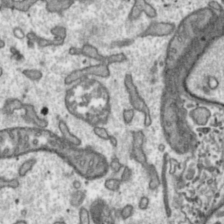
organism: Toxoplasma gondii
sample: Parasites in a vacuole inside a host cell